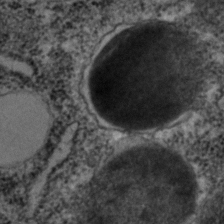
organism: C. elegans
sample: C. elegans embryo